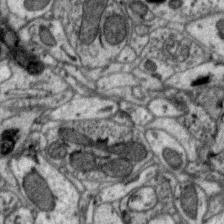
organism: Zebra finch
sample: Brain